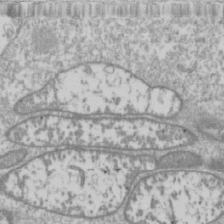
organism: Drosophila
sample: Cell division; meiosis; drosophila spermatocytes